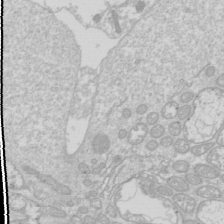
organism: Drosophila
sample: Cell division; meiosis; drosophila spermatocytes